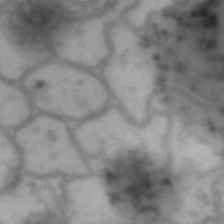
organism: Drosophila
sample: Brain